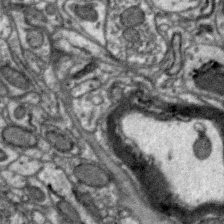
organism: Zebra finch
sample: Brain